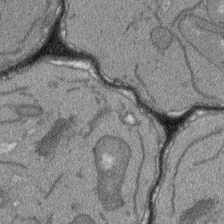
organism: Arabidopsis thaliana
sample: Root tip